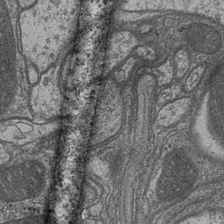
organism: Drosophila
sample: Optic medulla